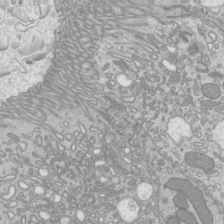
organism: Mouse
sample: Cilia; mouse epididymis